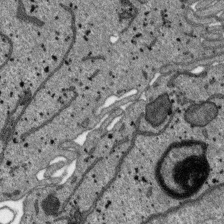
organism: Human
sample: Lung epithelial cells, uninfected (mock) control